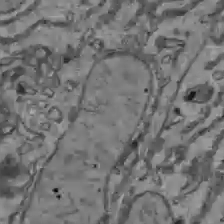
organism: C57BL Mouse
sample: Liver